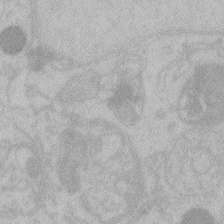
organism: Zebrafish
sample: Macrophage infected with Toxoplasma gondii